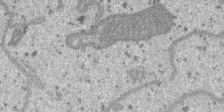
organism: Human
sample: Lung epithelial cells infected with SARS-CoV-2